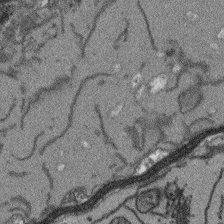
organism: Arabidopsis thaliana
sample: Root tip